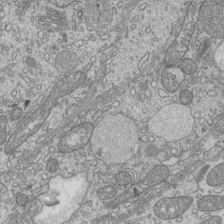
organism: Mouse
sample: Cilia; mouse epididymis